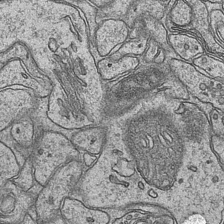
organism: Mouse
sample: CA1 Hippocampus